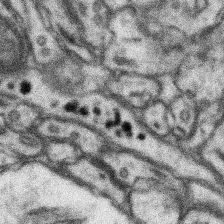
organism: Mouse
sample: Somatosensory cortex neuropil